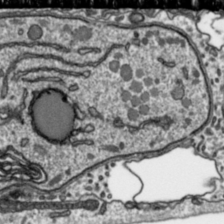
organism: Toxoplasma gondii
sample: Parasites in a vacuole inside a host cell